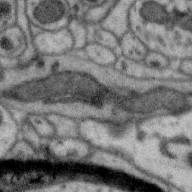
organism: Zebra finch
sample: Brain